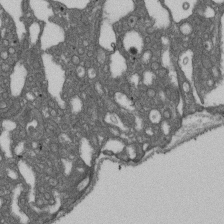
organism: Drosophila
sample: Nephrocyte